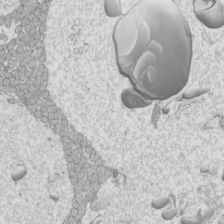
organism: Mouse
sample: Cilia; mouse epididymis